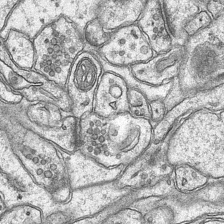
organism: Mouse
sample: CA1 Hippocampus